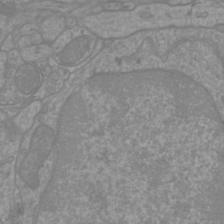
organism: Mouse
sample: Cortical neurons